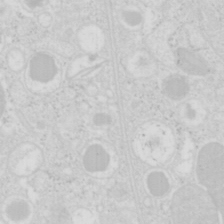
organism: Mouse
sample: Pancreas